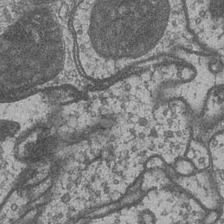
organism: Drosophila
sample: Optic medulla